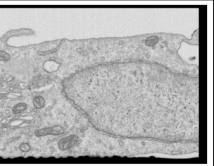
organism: Human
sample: Centriole in RPE cells